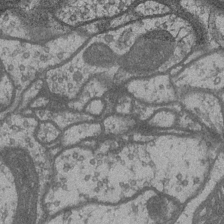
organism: Drosophila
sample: Optic medulla